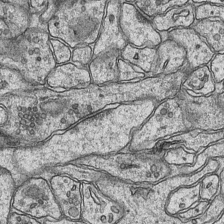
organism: Mouse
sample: CA1 Hippocampus